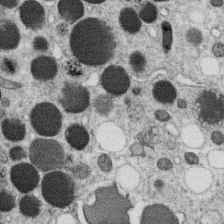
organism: C. elegans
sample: C. elegans oocyte; sperm cells